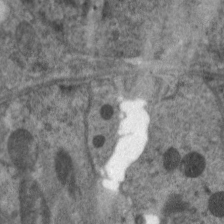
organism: C. elegans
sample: Pharynx